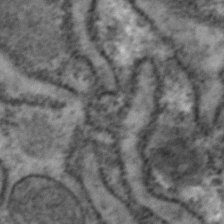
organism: Zebrafish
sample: Zebrafish embryo